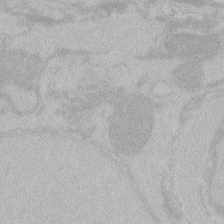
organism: Zebrafish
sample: Macrophage infected with Toxoplasma gondii